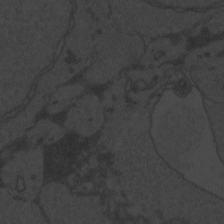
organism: Zebrafish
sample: Macrophage infected with Toxoplasma gondii